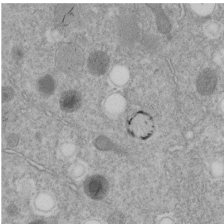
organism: C. elegans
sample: C. elegans embryo early stage